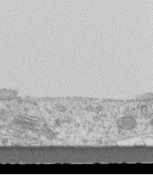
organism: Mouse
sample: Centriole in ependymal cells